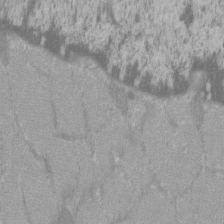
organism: C57BL Mouse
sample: Tibialis anterior muscle cell